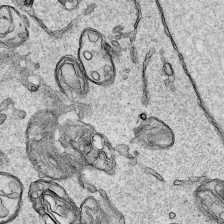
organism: Human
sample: Mitochondria in HCT116 cells